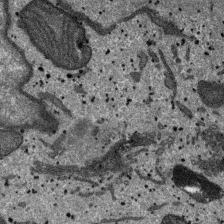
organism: Human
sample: Lung epithelial cells, uninfected (mock) control